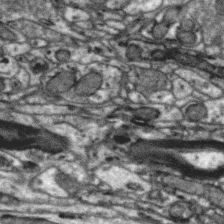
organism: Zebra finch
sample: Brain